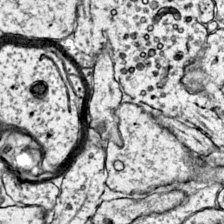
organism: Mouse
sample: Primary visual cortex